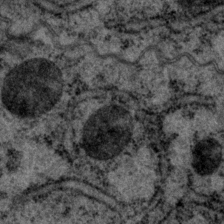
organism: P. pacificus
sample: Pharynx